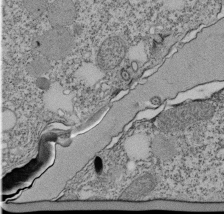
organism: Tetrahymena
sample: Cilia in tetrahymena